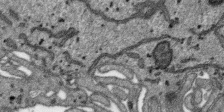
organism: Human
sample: Lung epithelial cells, uninfected (mock) control